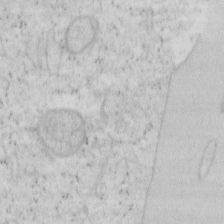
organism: Human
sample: HeLa cells